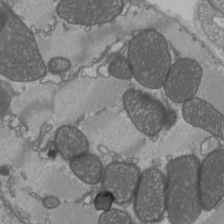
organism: C57BL Mouse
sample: Heart